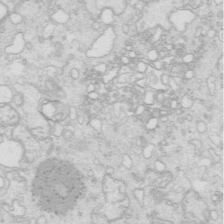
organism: Mouse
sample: Multiciliated cells